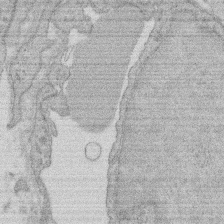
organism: Rat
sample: Salivary granule